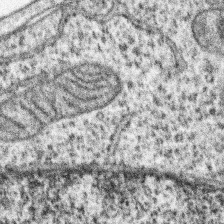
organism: Human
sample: HeLa cells